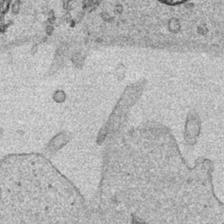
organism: Human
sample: Mitochondria in HCT116 cells